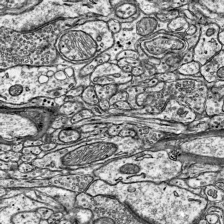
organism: Mouse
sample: Visual Cortex